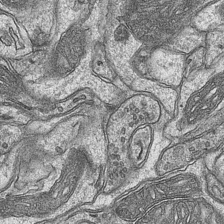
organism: Mouse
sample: CA1 Hippocampus